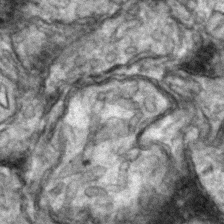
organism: Zebrafish